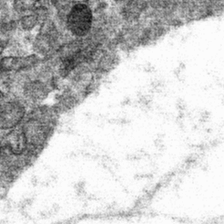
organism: Mouse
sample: Mouse hepatocytes